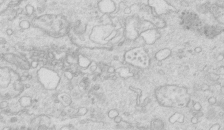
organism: Mouse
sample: Multiciliated cells